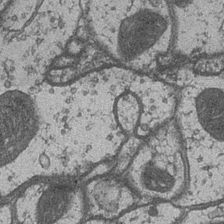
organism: Drosophila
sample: Optic medulla